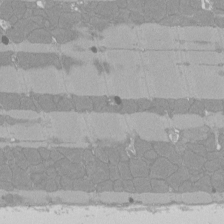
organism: Rat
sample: Left ventricle